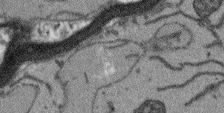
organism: Arabidopsis thaliana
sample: Root tip